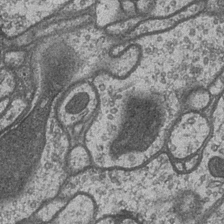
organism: Drosophila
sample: Optic medulla